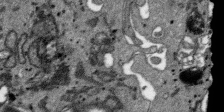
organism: Human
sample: Lung epithelial cells, uninfected (mock) control